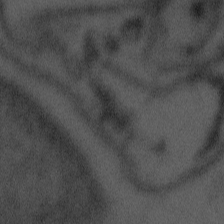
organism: Tuwongella immobilis